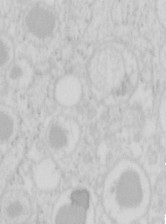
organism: Mouse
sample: Pancreas